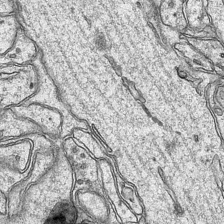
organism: Mouse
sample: CA1 Hippocampus